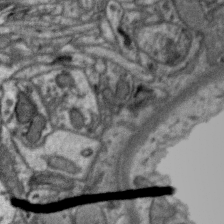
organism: Zebra finch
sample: Brain